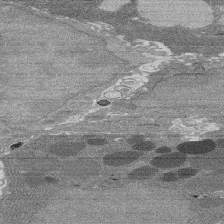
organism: Rat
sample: Salivary granule